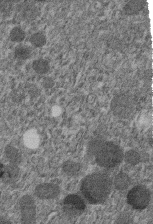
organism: C. elegans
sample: C. elegans embryo early stage